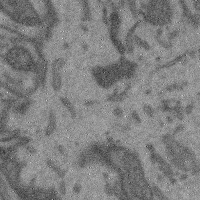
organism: Mouse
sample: Cerebral cortex